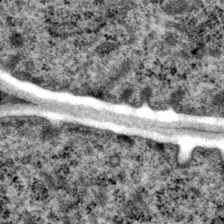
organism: P. pacificus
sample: Pharynx